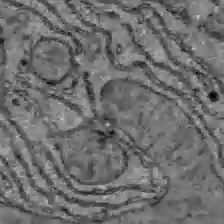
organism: C57BL Mouse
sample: Liver